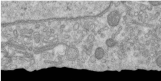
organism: Human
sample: Centriole in RPE cells